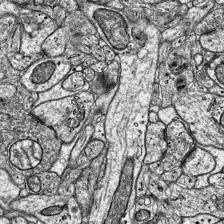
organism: Mouse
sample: Visual Cortex